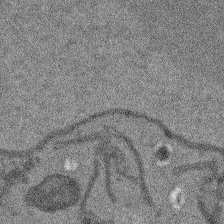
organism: Arabidopsis thaliana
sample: Root tip